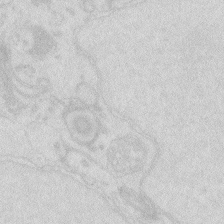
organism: Zebrafish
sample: Macrophage